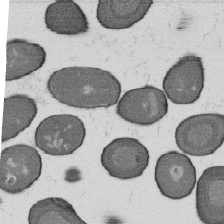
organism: B. subtilis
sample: Bacterial spore